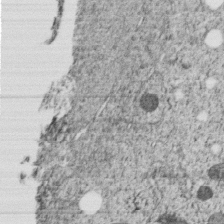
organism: C. elegans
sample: C. elegans embryo early stage